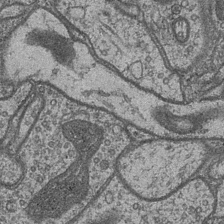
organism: Drosophila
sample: Optic medulla